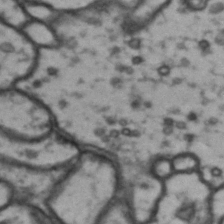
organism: Drosophila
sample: Brain